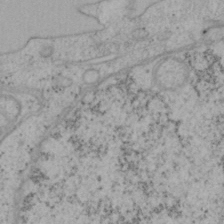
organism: Human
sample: HeLa cells